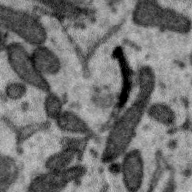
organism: Zebra finch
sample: Brain